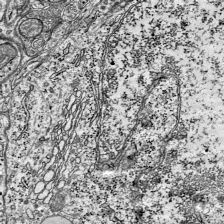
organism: Mouse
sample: Visual Cortex